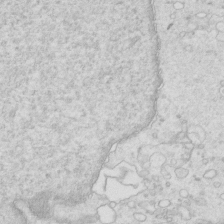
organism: Mouse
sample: Multiciliated cells